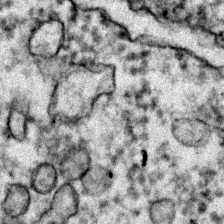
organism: Zebrafish